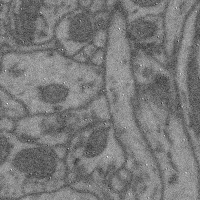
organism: Mouse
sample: Cerebral cortex